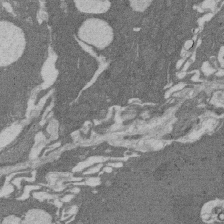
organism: Rat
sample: Salivary granule